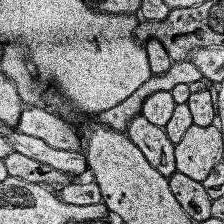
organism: Human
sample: Temporal Lobe